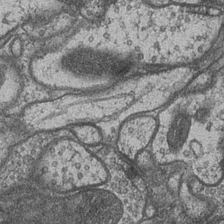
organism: Drosophila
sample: Optic medulla